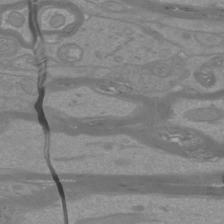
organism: Mouse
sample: Cortical neurons